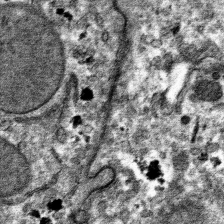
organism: Mouse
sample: Mouse hepatocytes